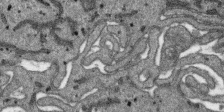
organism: Human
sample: Lung epithelial cells, uninfected (mock) control